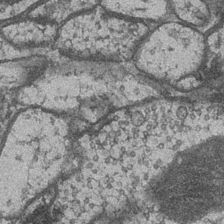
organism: Drosophila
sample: Optic medulla